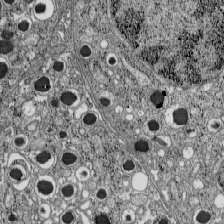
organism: C57BL Mouse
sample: Pancreatic islet